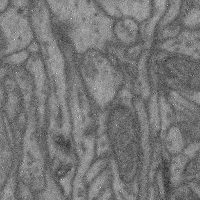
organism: Mouse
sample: Cerebral cortex